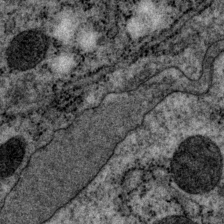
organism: P. pacificus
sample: Pharynx